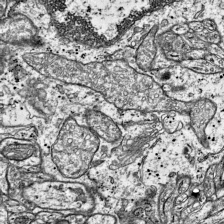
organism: Mouse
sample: Visual Cortex